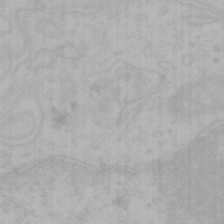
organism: Mouse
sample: Choroid plexus